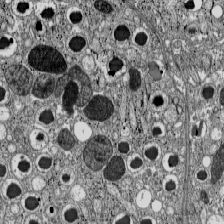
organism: C57BL Mouse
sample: Pancreatic islet